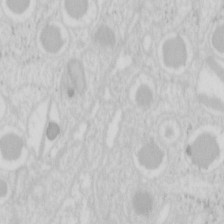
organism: Mouse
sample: Pancreas